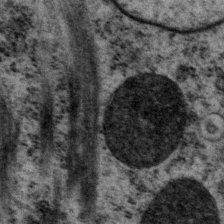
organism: P. pacificus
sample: Pharynx